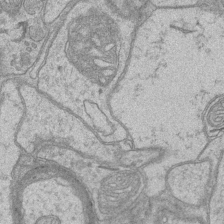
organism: Mouse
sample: CA1 Hippocampus